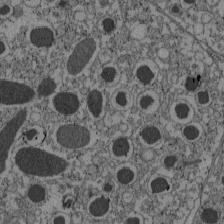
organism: C57BL Mouse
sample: Pancreatic islet